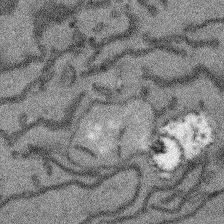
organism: Arabidopsis thaliana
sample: Root tip